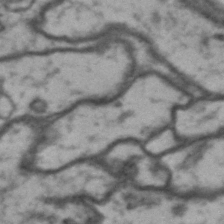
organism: Drosophila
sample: Brain